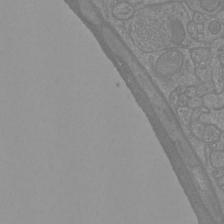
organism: Mouse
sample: Cortical neurons